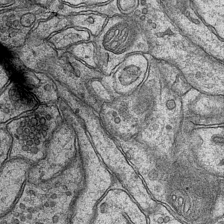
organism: Mouse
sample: CA1 Hippocampus